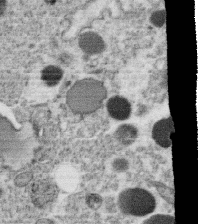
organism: C. elegans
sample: C. elegans oocyte; sperm cells